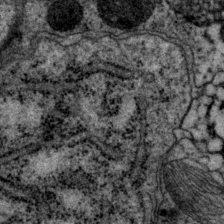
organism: P. pacificus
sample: Pharynx